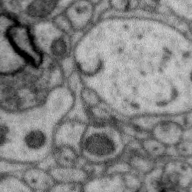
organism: Zebra finch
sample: Brain